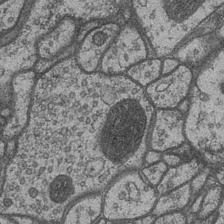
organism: Drosophila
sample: Optic medulla